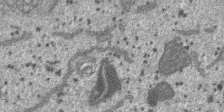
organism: Human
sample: Lung epithelial cells infected with SARS-CoV-2